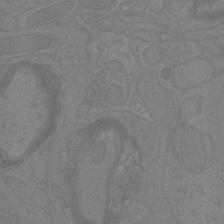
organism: Mouse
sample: Cortical neurons